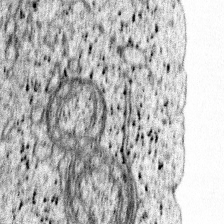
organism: Human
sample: HeLa cells